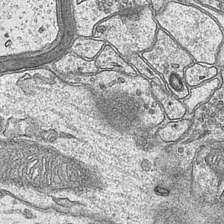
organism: Mouse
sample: CA1 Hippocampus